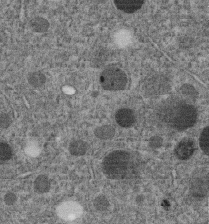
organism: C. elegans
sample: C. elegans embryo early stage